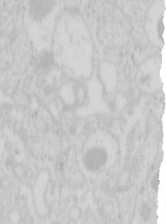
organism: Mouse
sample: Pancreas